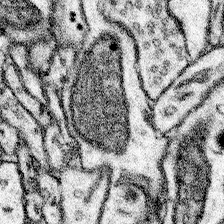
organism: Mouse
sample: Somatosensory cortex neuropil